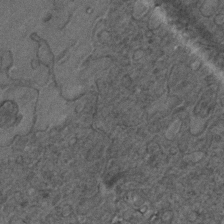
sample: Trachea